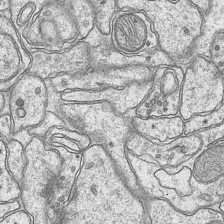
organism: Mouse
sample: CA1 Hippocampus